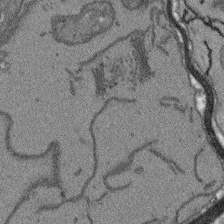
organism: Arabidopsis thaliana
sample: Root tip